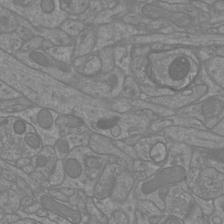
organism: Mouse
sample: Cortical neurons